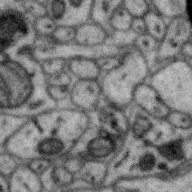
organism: Zebra finch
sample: Brain